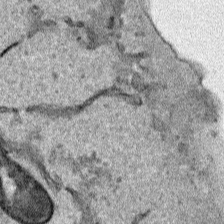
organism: Human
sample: Mitochondria in HCT116 cells